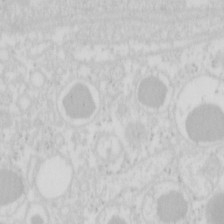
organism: Mouse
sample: Pancreas